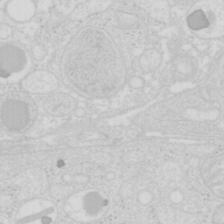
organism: Mouse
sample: Pancreas